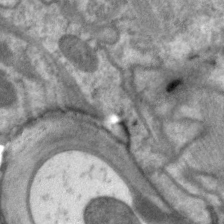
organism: C. elegans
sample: Pharynx